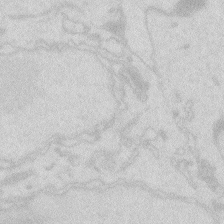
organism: Zebrafish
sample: Macrophage